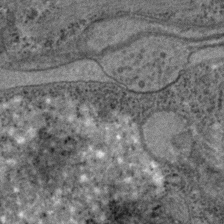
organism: C. elegans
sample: C. elegans embryo